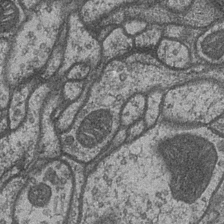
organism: Drosophila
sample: Optic medulla